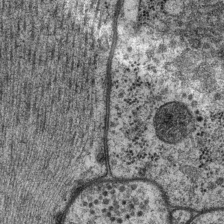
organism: P. pacificus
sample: Pharynx